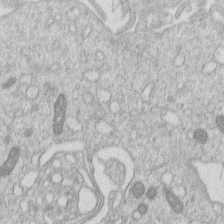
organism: Human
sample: Macrophage cells